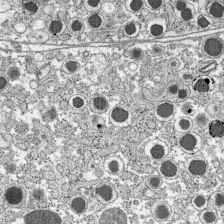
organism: C57BL Mouse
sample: Pancreatic islet